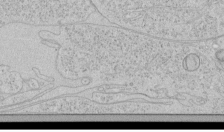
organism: Human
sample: Mitochondria in HCT116 cells